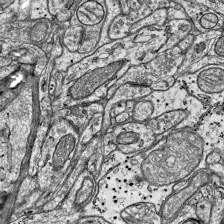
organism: Mouse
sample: Visual Cortex